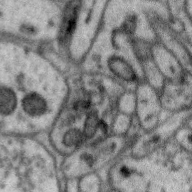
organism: Zebra finch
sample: Brain